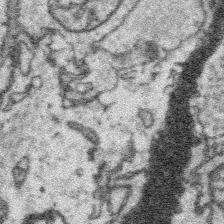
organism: Platynereis dumerilii